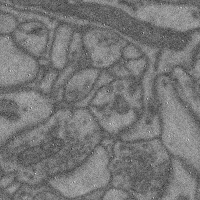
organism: Mouse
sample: Cerebral cortex